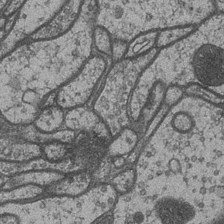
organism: Drosophila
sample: Optic medulla